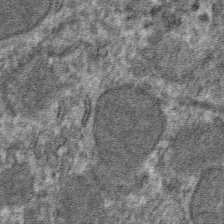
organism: Mouse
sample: Mouse hepatocytes